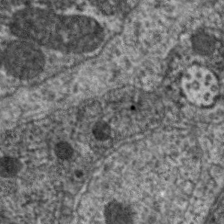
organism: C. elegans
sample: Pharynx